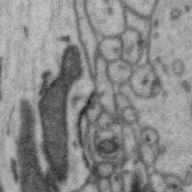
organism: Zebra finch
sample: Brain